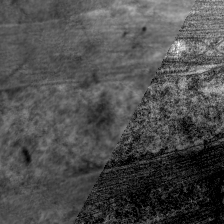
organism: C. elegans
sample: Pharynx